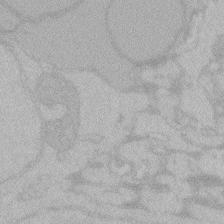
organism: Zebrafish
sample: Macrophage infected with Toxoplasma gondii